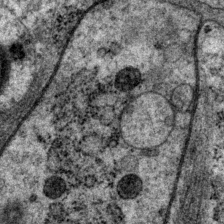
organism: P. pacificus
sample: Pharynx